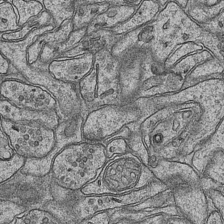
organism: Mouse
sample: CA1 Hippocampus